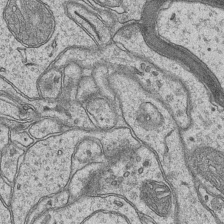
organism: Mouse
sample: CA1 Hippocampus